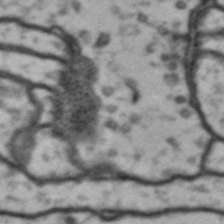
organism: Drosophila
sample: Brain